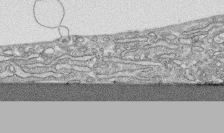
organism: Human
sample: CRL-1474